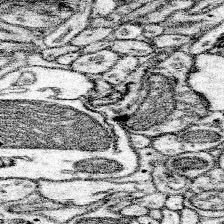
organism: Mouse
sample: Somatosensory cortex neuropil